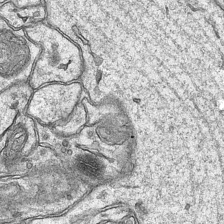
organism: Mouse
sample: CA1 Hippocampus